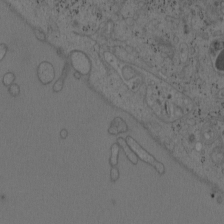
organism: Mouse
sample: OT-I killer T cells with ID8 ovarian cancer cells